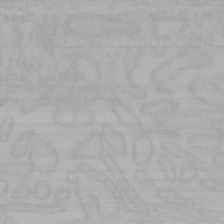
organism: Mouse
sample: Choroid plexus